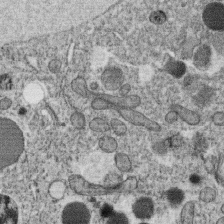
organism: C. elegans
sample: C. elegans oocyte; sperm cells